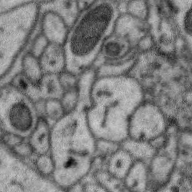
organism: Zebra finch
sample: Brain